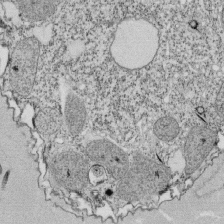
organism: Tetrahymena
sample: Cilia in tetrahymena